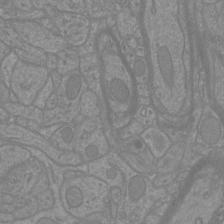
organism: Mouse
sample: Cortical neurons